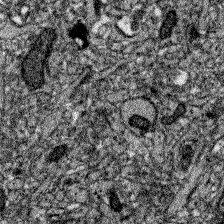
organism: Zebrafish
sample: Larval olfactory bulb